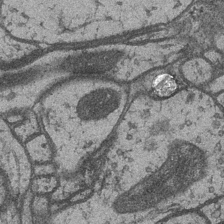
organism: Drosophila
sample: Optic medulla